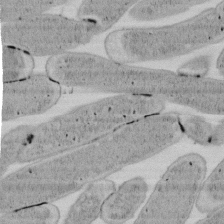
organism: E. coli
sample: Bacterial nucleoid